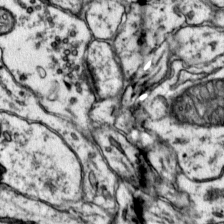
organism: Mouse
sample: Primary visual cortex